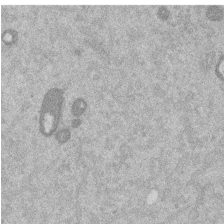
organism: Mouse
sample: Dividing mouse embryo 1 cell stage